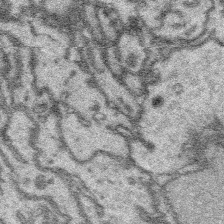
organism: Platynereis dumerilii